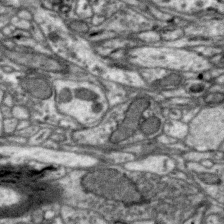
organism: Zebra finch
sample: Brain